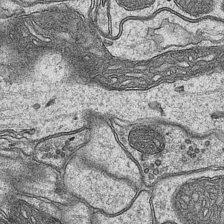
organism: Mouse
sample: CA1 Hippocampus